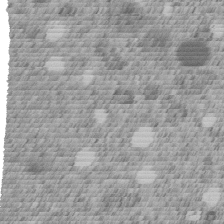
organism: C. elegans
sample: C. elegans embryo early stage